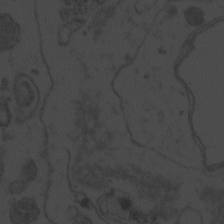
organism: Zebrafish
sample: Macrophage infected with Toxoplasma gondii